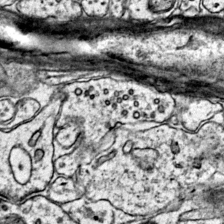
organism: Mouse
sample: Primary visual cortex